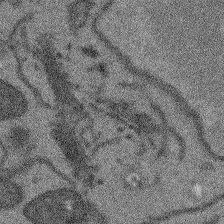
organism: Arabidopsis thaliana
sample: Root tip